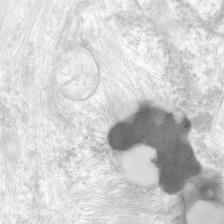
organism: Human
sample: Neocortex